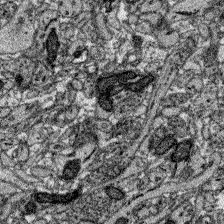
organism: Zebrafish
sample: Larval olfactory bulb